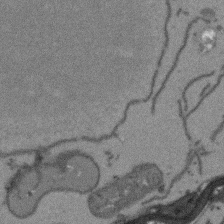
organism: Arabidopsis thaliana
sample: Root tip